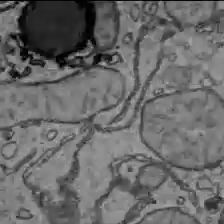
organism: C57BL Mouse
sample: Liver